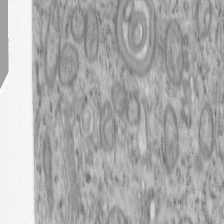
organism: Human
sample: HeLa cells